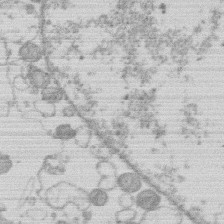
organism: Human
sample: Macrophage cells